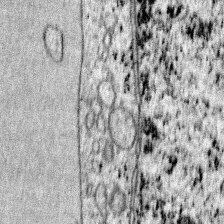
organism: Human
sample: HeLa cells